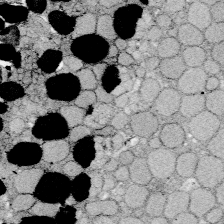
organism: Zebrafish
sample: Whole-Brain